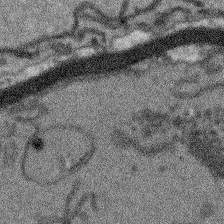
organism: Arabidopsis thaliana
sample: Root tip